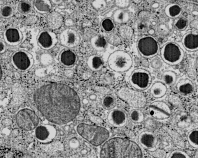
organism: C57BL Mouse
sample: Pancreatic islet